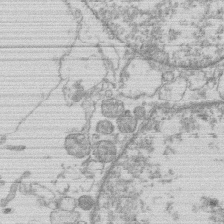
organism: Human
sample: Macrophage cells